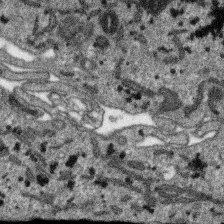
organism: Human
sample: Lung epithelial cells infected with SARS-CoV-2